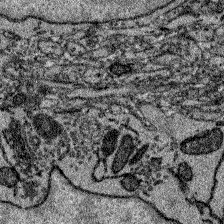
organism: Zebrafish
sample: Larval olfactory bulb